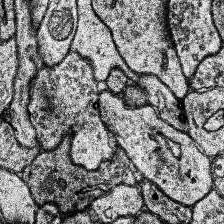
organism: Human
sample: Temporal Lobe